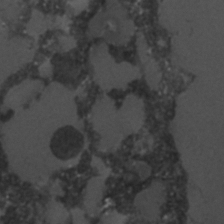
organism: C. elegans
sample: C. elegans embryo